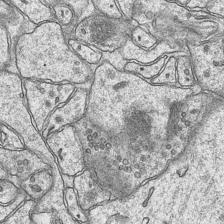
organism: Mouse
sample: CA1 Hippocampus